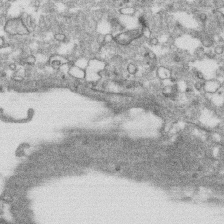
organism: Human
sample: CRL-1474